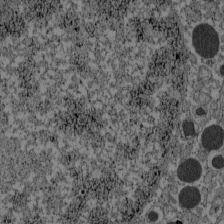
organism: C57BL Mouse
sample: Pancreatic islet